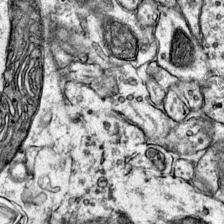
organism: Mouse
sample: Primary visual cortex